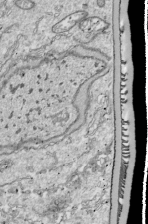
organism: Drosophila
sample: Cell division; meiosis; drosophila spermatocytes